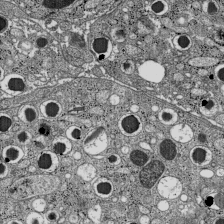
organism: C57BL Mouse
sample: Pancreatic islet